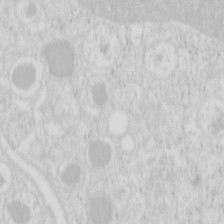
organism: Mouse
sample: Pancreas